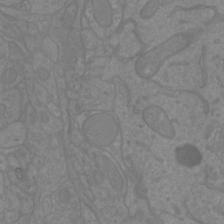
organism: Mouse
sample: Cortical neurons